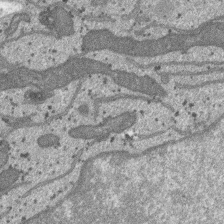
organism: Human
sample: Lung epithelial cells infected with SARS-CoV-2